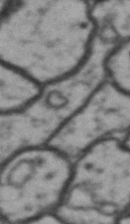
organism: Drosophila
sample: Brain